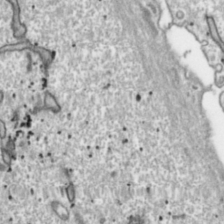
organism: Toxoplasma gondii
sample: Parasites in a vacuole inside a host cell